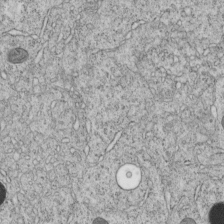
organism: C. elegans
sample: C. elegans embryo early stage